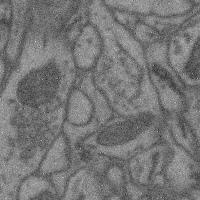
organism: Mouse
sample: Cerebral cortex